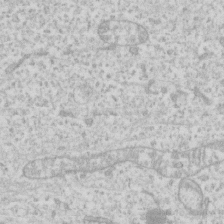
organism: Human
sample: Fibroblast cells